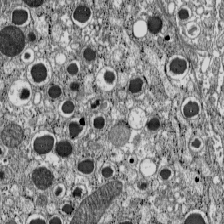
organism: C57BL Mouse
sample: Pancreatic islet